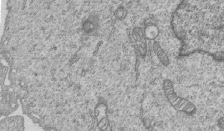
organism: Human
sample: MDA-MB-231 cells